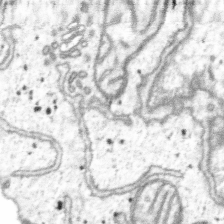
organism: Human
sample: HeLa cells